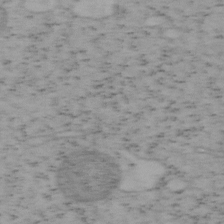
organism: Mouse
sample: OT-I killer T cells with ID8 ovarian cancer cells